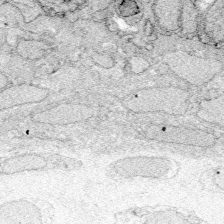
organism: Zebrafish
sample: Whole-Brain